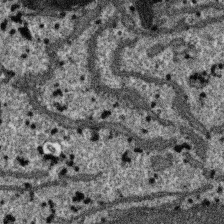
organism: Human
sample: Lung epithelial cells infected with SARS-CoV-2